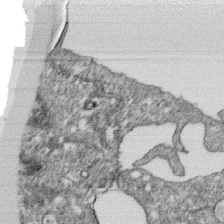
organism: African green monkey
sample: Vero E6 cells infected with SARS-CoV-2